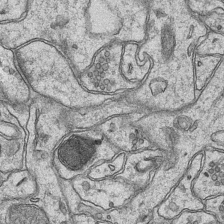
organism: Mouse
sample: CA1 Hippocampus